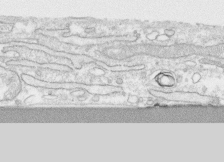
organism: Human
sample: CRL-1474